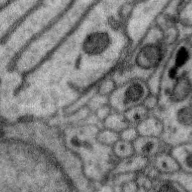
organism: Zebra finch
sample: Brain